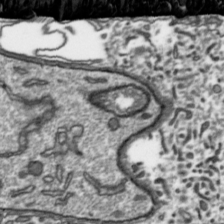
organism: Toxoplasma gondii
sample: Parasites in a vacuole inside a host cell